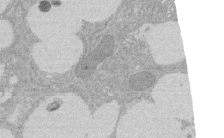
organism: Rat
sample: Salivary granule